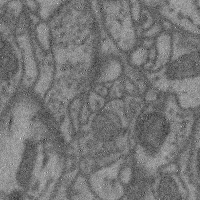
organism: Mouse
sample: Cerebral cortex